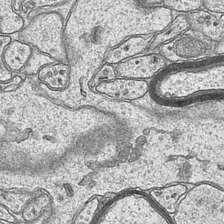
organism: Mouse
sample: CA1 Hippocampus